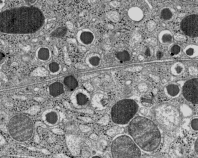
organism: C57BL Mouse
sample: Pancreatic islet